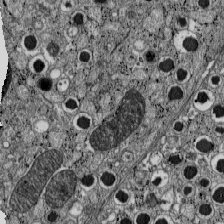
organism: C57BL Mouse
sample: Pancreatic islet